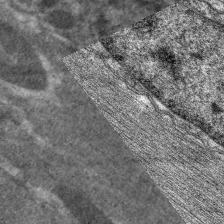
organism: C. elegans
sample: Pharynx